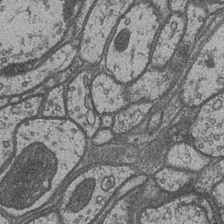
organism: Drosophila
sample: Optic medulla